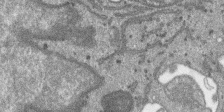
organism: Human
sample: Lung epithelial cells infected with SARS-CoV-2